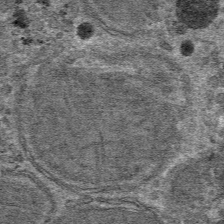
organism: Mouse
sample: Mouse hepatocytes